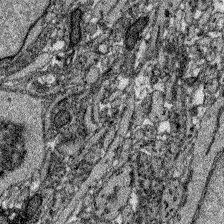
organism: Zebrafish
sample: Larval olfactory bulb